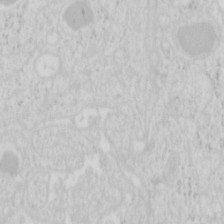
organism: Mouse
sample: Pancreas